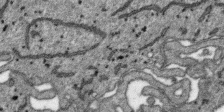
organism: Human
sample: Lung epithelial cells, uninfected (mock) control